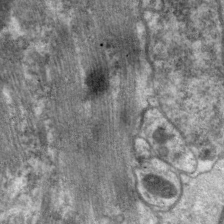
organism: C. elegans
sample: Pharynx